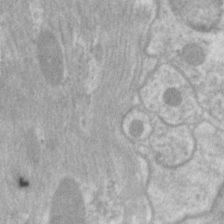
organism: C. elegans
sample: Pharynx